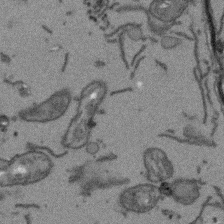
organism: Arabidopsis thaliana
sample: Root tip